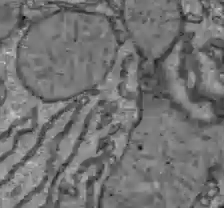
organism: C57BL Mouse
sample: Liver